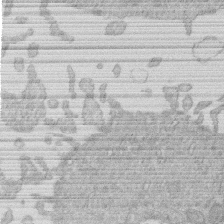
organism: Human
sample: Macrophage cells